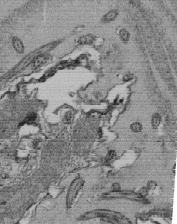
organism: Tetrahymena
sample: Cilia in tetrahymena